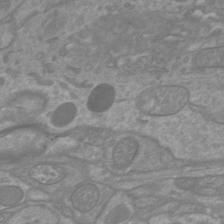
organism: Mouse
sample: Cortical neurons